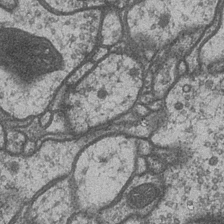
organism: Drosophila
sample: Optic medulla